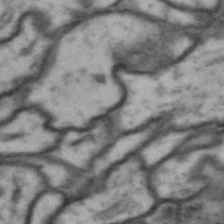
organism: Drosophila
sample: Brain